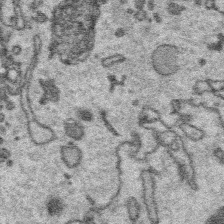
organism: Platynereis dumerilii